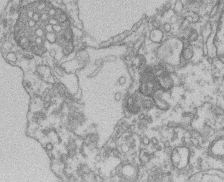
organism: Mouse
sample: T cell stromal cell synapse